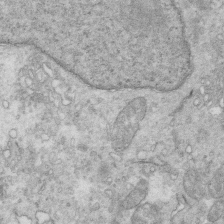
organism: Mouse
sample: Multiciliated cells